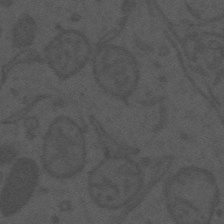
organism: Mouse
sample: Suprachiasmatic nucleus